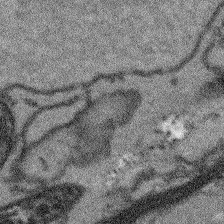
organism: Arabidopsis thaliana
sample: Root tip